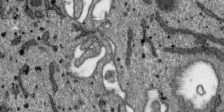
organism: Human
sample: Lung epithelial cells, uninfected (mock) control